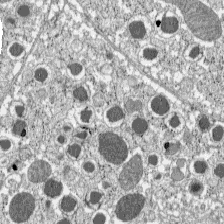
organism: C57BL Mouse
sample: Pancreatic islet